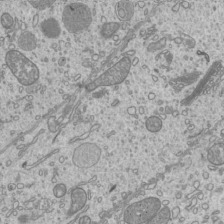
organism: Mouse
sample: Cilia; mouse epididymis